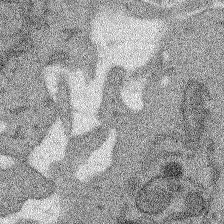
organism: Human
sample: HeLa cells